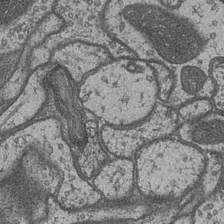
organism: Drosophila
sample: Optic medulla